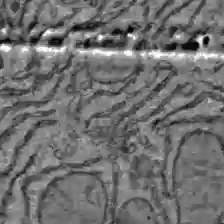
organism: C57BL Mouse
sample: Liver